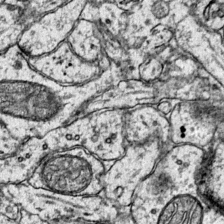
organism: Mouse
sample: Primary visual cortex